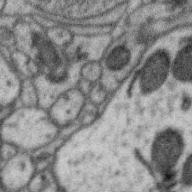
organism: Zebra finch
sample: Brain